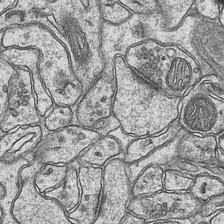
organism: Mouse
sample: CA1 Hippocampus